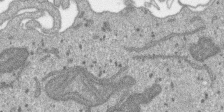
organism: Human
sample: Lung epithelial cells infected with SARS-CoV-2